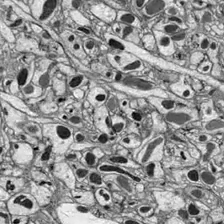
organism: Drosophila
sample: Optic lobe